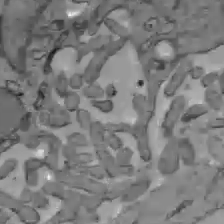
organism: C57BL Mouse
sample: Liver